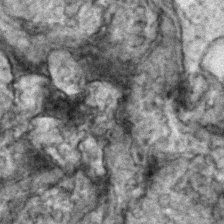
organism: Zebrafish